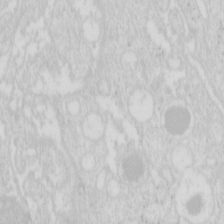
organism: Mouse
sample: Pancreas